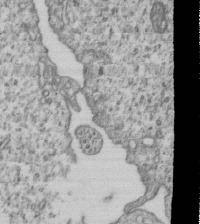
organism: Human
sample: MDA-MB-231 cells